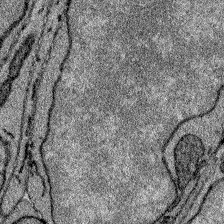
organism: Zebrafish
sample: Larval olfactory bulb